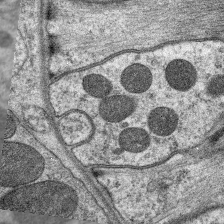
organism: C. elegans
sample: Pharynx